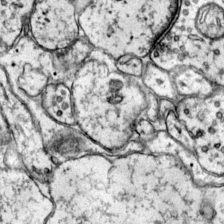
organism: Mouse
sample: Primary visual cortex